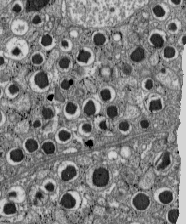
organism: C57BL Mouse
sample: Pancreatic islet